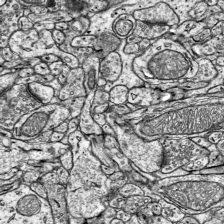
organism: Mouse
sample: Visual Cortex